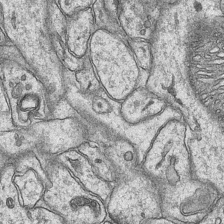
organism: Mouse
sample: CA1 Hippocampus